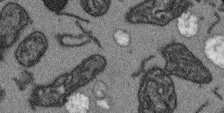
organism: Arabidopsis thaliana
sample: Root tip